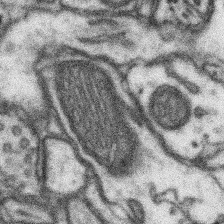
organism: Mouse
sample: Somatosensory cortex neuropil